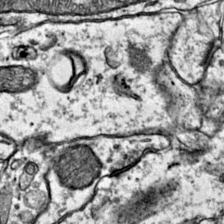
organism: Mouse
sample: Primary visual cortex